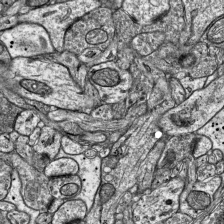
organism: Mouse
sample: Visual Cortex